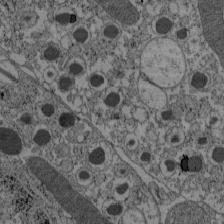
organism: C57BL Mouse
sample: Pancreatic islet